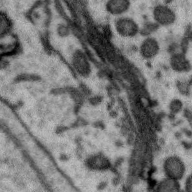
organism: Zebra finch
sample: Brain